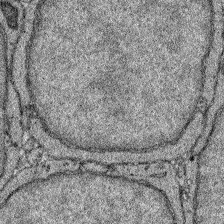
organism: Zebrafish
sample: Larval olfactory bulb